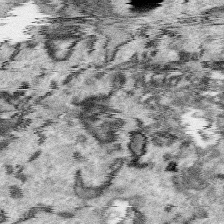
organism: Human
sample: HeLa cells